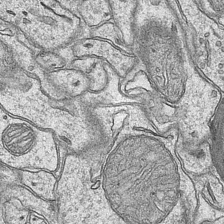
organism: Mouse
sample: CA1 Hippocampus